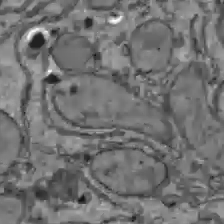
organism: C57BL Mouse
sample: Liver